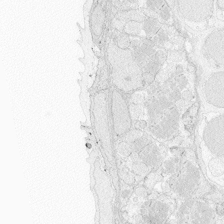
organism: Zebrafish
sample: Whole-Brain